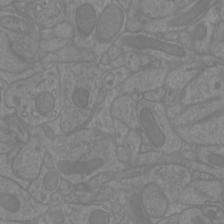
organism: Mouse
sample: Cortical neurons